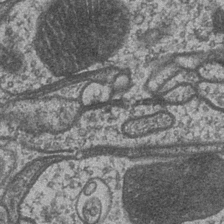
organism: Drosophila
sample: Optic medulla